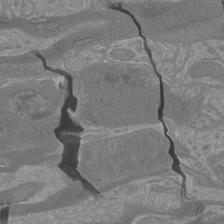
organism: Mouse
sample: Cortical neurons